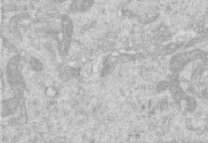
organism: Human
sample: Centriole in RPE cells